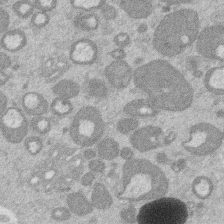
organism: Mouse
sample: Dividing mouse embryo 1 cell stage